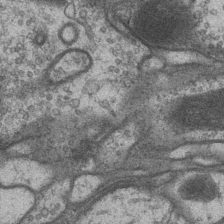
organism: Drosophila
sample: Optic medulla